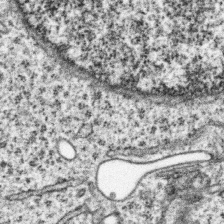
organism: Human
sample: HeLa cells